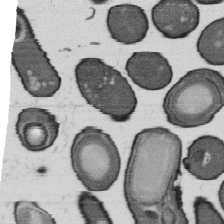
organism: B. subtilis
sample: Bacterial spore